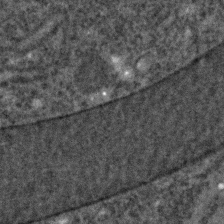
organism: C. elegans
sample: C. elegans embryo